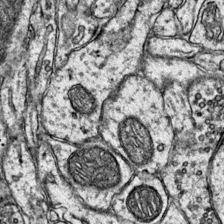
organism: Mouse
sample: Primary visual cortex